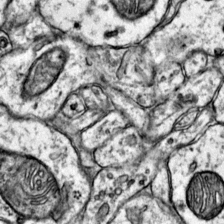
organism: Mouse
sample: Primary visual cortex